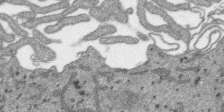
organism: Human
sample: Lung epithelial cells infected with SARS-CoV-2